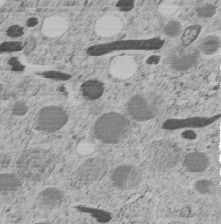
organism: C. elegans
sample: C. elegans embryo early stage